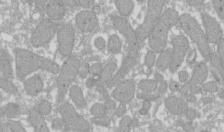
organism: Xenopus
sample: Cilia; centrioles in frog embryo cells